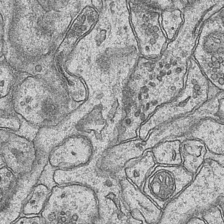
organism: Mouse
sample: CA1 Hippocampus